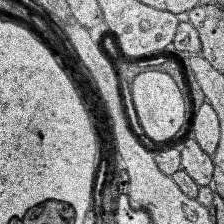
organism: Human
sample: Temporal Lobe